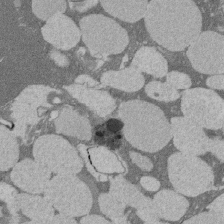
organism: Rat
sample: Salivary granule